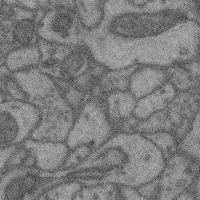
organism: Mouse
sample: Cerebral cortex